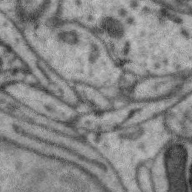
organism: Zebra finch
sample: Brain